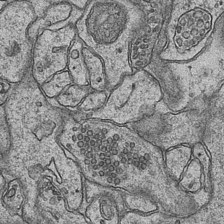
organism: Mouse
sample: CA1 Hippocampus